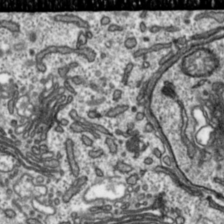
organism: Toxoplasma gondii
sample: Parasites in a vacuole inside a host cell